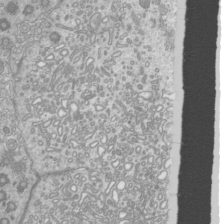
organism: Mouse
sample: Cilia; mouse epididymis